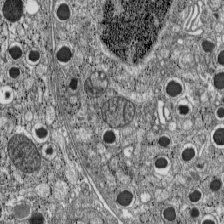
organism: C57BL Mouse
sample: Pancreatic islet